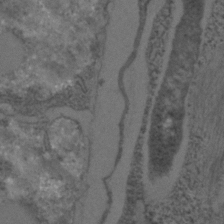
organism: C. elegans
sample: C. elegans embryo